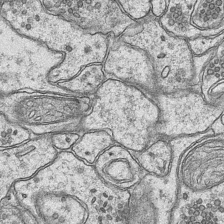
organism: Mouse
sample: CA1 Hippocampus